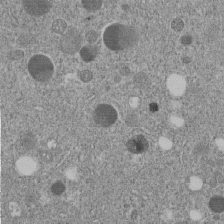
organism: C. elegans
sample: C. elegans embryo early stage